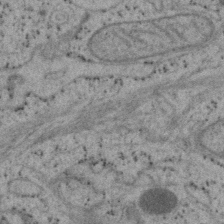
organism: Human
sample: HeLa cells